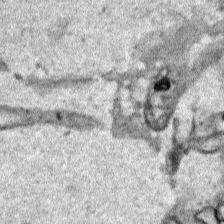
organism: Human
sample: Mitochondria in HCT116 cells